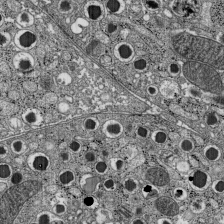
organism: C57BL Mouse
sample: Pancreatic islet